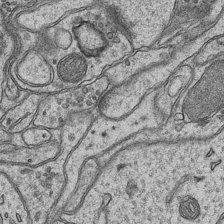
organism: Mouse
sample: CA1 Hippocampus